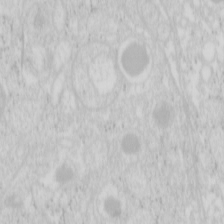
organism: Mouse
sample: Pancreas